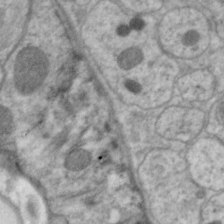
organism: C. elegans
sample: Pharynx